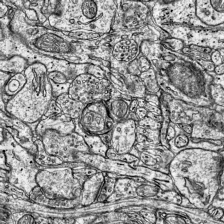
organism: Mouse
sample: Visual Cortex